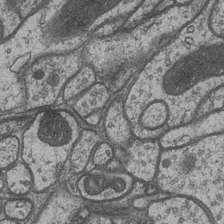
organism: Drosophila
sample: Optic medulla